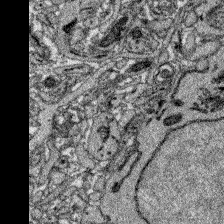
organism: Zebrafish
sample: Larval olfactory bulb